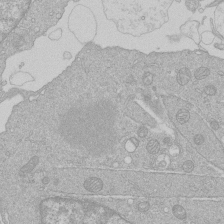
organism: Human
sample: Macrophage cells